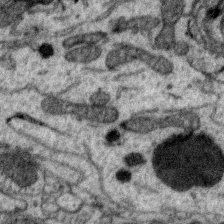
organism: Zebra finch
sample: Brain